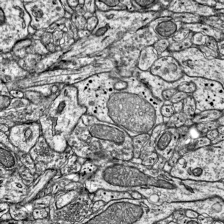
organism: Mouse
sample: Visual Cortex